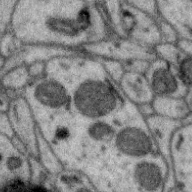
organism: Zebra finch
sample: Brain